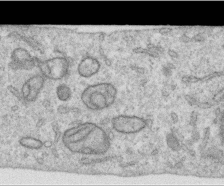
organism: Human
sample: Centriole in RPE cells